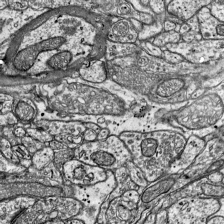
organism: Mouse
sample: Visual Cortex